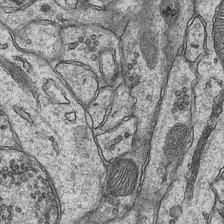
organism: Mouse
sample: CA1 Hippocampus